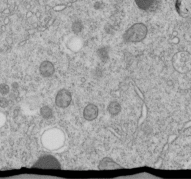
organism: C. elegans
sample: C. elegans embryo early stage